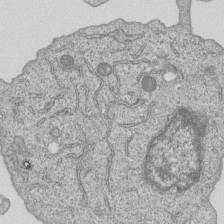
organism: Human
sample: MDA-MB-231 cells